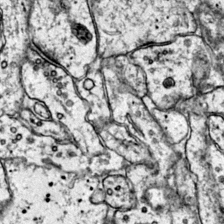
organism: Mouse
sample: Primary visual cortex